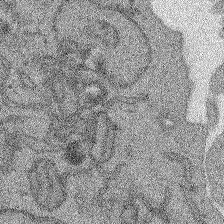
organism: Human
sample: HeLa cells